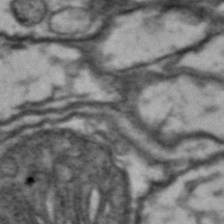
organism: Drosophila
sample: Brain